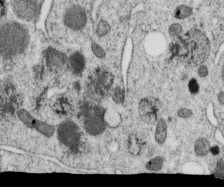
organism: C. elegans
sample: C. elegans oocyte; sperm cells